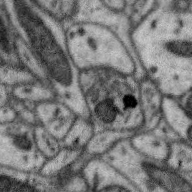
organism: Zebra finch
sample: Brain